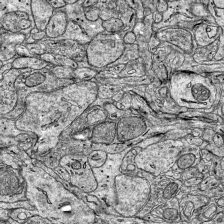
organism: Mouse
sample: Visual Cortex